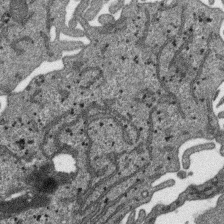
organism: Human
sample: Lung epithelial cells infected with SARS-CoV-2